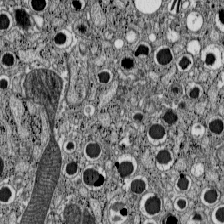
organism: C57BL Mouse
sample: Pancreatic islet